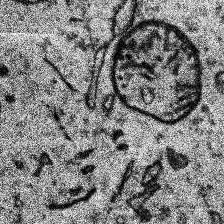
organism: Human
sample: Temporal Lobe